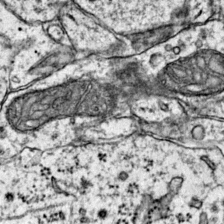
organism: Mouse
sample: Primary visual cortex